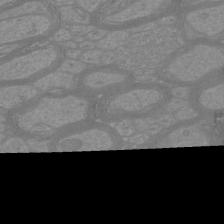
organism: Mouse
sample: Cortical neurons